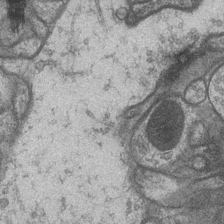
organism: Drosophila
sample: Optic medulla